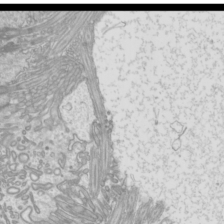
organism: Mouse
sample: Cilia; mouse epididymis